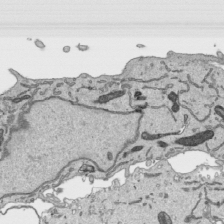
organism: Human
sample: Mitochondria in HCT116 cells